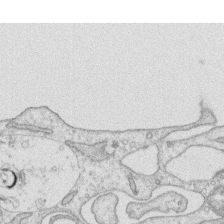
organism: Human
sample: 1205lu cells